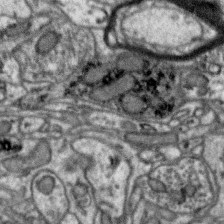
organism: Zebra finch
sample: Brain